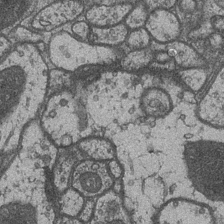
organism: Drosophila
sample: Optic medulla